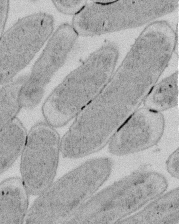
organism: E. coli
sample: Bacterial nucleoid